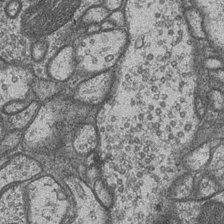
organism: Drosophila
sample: Optic medulla